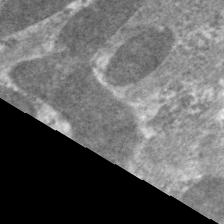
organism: C. elegans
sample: Pharynx